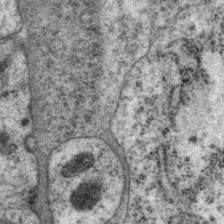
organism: P. pacificus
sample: Pharynx